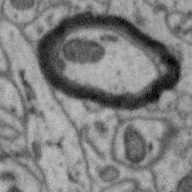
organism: Zebra finch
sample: Brain